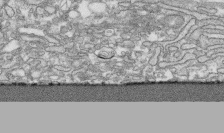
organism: Human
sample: CRL-1474